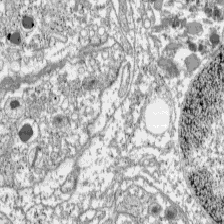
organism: C57BL Mouse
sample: Pancreatic islet